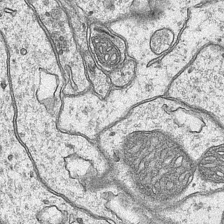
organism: Mouse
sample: CA1 Hippocampus